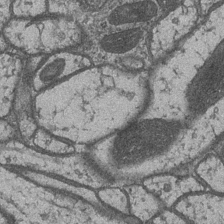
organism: Drosophila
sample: Optic medulla